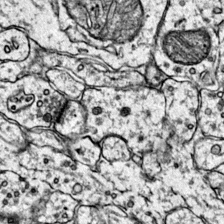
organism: Mouse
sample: Primary visual cortex